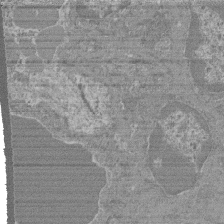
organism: Mouse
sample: Glomerulus